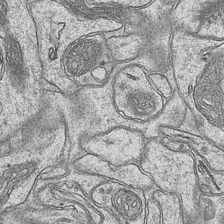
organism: Mouse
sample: CA1 Hippocampus